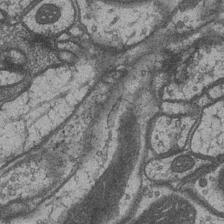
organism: Drosophila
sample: Optic medulla